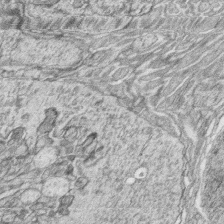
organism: Zebrafish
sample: synaptic ribbons in rod cells and cone cells